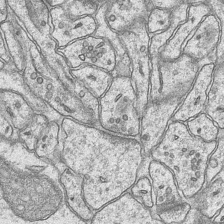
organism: Mouse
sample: CA1 Hippocampus